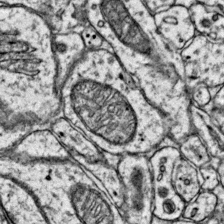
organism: Mouse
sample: Primary visual cortex